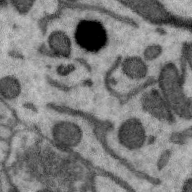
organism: Zebra finch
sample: Brain